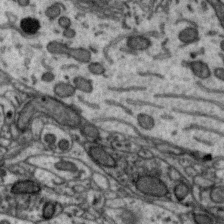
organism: Zebra finch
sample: Brain